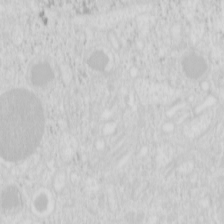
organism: Mouse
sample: Pancreas